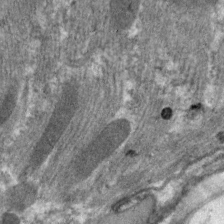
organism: C. elegans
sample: Pharynx